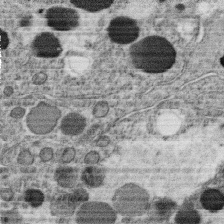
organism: C. elegans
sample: C. elegans oocyte; sperm cells